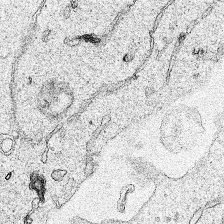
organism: Human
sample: Mitochondria in HCT116 cells